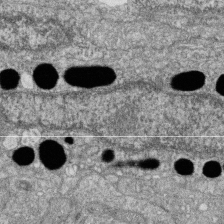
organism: Zebrafish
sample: Cilia; retinal pigment epithelium